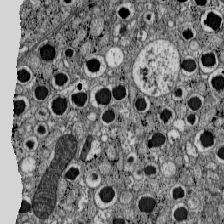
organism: C57BL Mouse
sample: Pancreatic islet